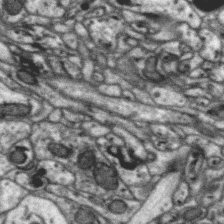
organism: Zebra finch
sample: Brain